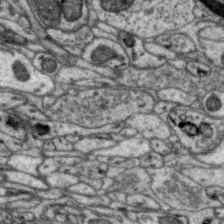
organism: Zebra finch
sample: Brain